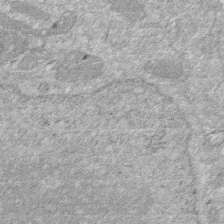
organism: Human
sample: HIV infected U937 cells